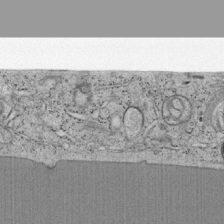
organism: Human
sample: HeLa cells